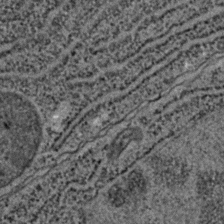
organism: C. elegans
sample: C. elegans embryo